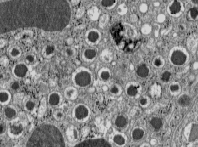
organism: C57BL Mouse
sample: Pancreatic islet